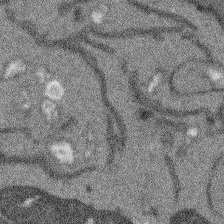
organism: Arabidopsis thaliana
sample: Root tip